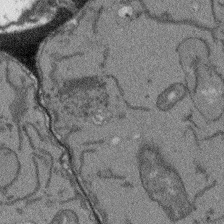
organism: Arabidopsis thaliana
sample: Root tip